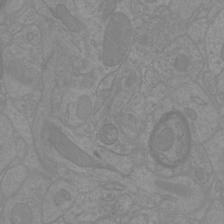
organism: Mouse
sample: Cortical neurons